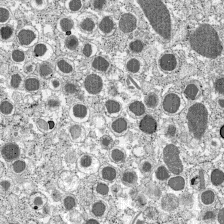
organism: C57BL Mouse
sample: Pancreatic islet